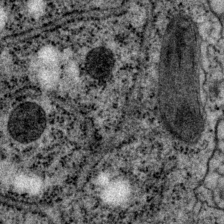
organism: P. pacificus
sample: Pharynx